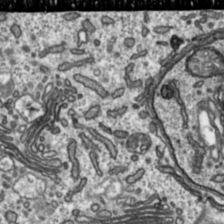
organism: Toxoplasma gondii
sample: Parasites in a vacuole inside a host cell